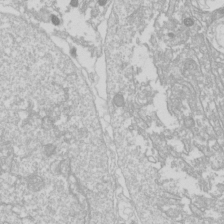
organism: Drosophila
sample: Cell division; meiosis; drosophila spermatocytes